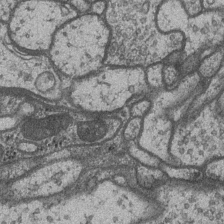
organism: Drosophila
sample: Optic medulla